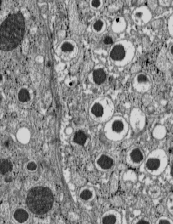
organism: C57BL Mouse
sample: Pancreatic islet